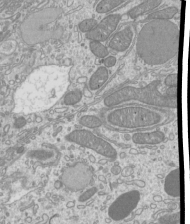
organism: Mouse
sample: Cilia; mouse epididymis